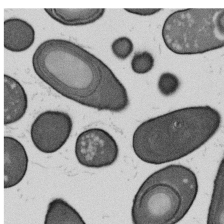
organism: B. subtilis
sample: Bacterial spore